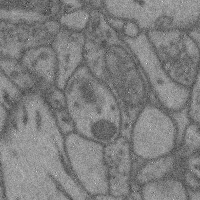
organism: Mouse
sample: Cerebral cortex